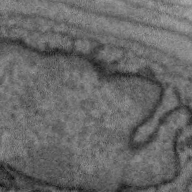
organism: Zebra finch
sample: Brain